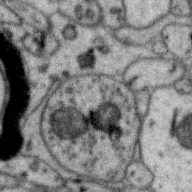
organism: Zebra finch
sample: Brain